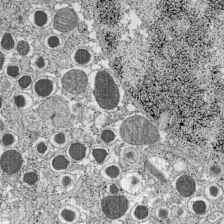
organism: C57BL Mouse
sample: Pancreatic islet